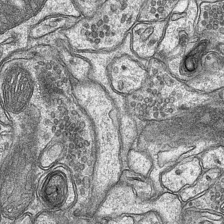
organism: Mouse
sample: CA1 Hippocampus